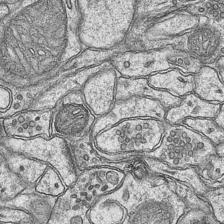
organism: Mouse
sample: CA1 Hippocampus